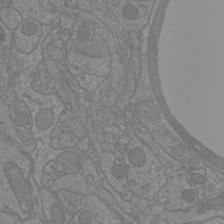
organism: Mouse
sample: Cortical neurons